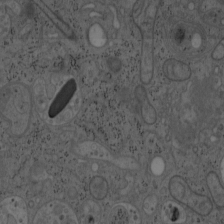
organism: Mouse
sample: OT-I killer T cells with ID8 ovarian cancer cells